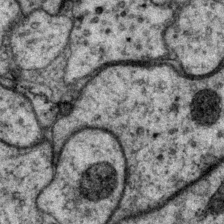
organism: P. pacificus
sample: Pharynx